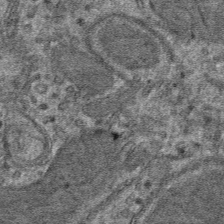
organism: Mouse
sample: Mouse hepatocytes